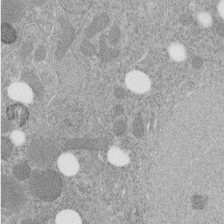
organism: C. elegans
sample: C. elegans embryo early stage